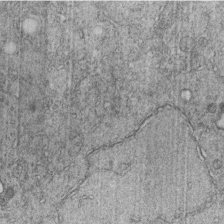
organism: C. elegans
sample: C. elegans embryo early stage